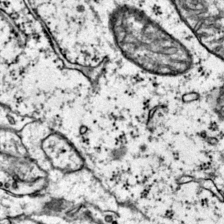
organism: Mouse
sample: Primary visual cortex